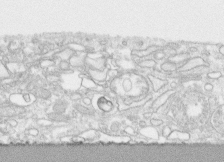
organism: Human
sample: CRL-1474